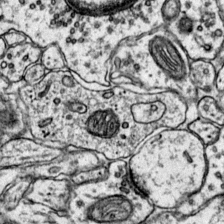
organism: Mouse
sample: Primary visual cortex